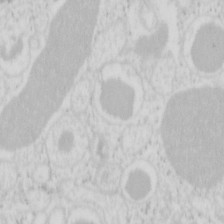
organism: Mouse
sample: Pancreas